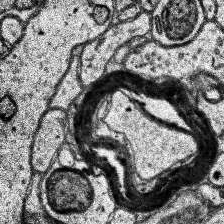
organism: Human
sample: Temporal Lobe